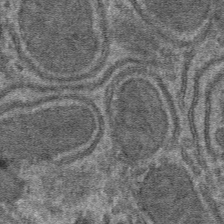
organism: Mouse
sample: Mouse hepatocytes